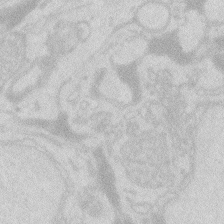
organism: Zebrafish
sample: Macrophage